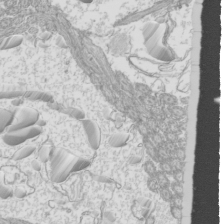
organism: Mouse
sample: Cilia; mouse epididymis